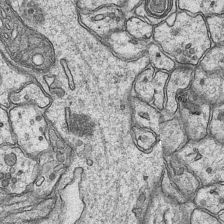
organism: Mouse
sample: CA1 Hippocampus